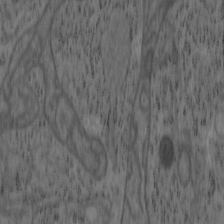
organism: Human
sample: HeLa cells